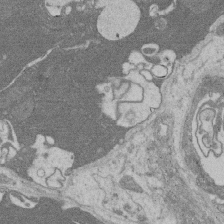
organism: Rat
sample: Salivary granule